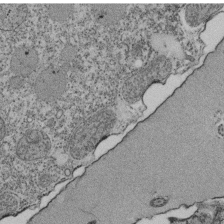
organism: Tetrahymena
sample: Cilia in tetrahymena